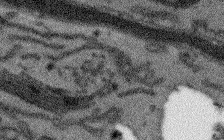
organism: Arabidopsis thaliana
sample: Root tip